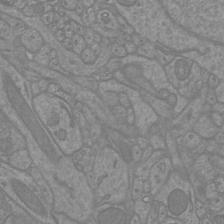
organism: Mouse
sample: Cortical neurons